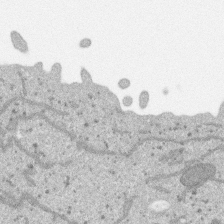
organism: Human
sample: Lung epithelial cells infected with SARS-CoV-2